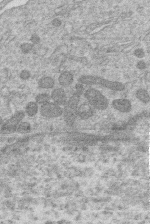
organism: Human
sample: Macrophage cells